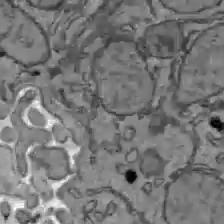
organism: C57BL Mouse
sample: Liver